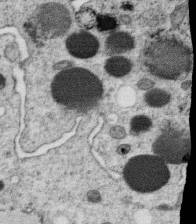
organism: C. elegans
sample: C. elegans oocyte; sperm cells